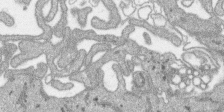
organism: Human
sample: Lung epithelial cells infected with SARS-CoV-2